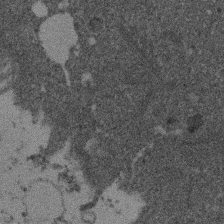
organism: Mouse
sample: Dividing mouse embryo 1 cell stage